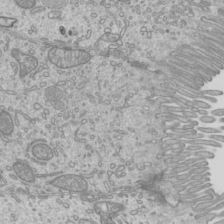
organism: Mouse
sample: Cilia; mouse epididymis